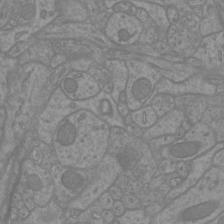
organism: Mouse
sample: Cortical neurons